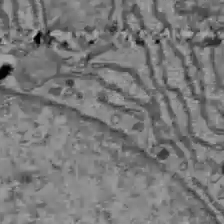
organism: C57BL Mouse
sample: Liver